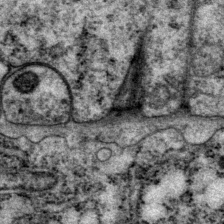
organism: P. pacificus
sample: Pharynx